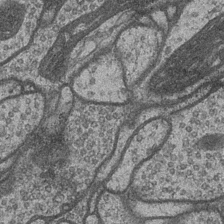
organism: Drosophila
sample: Optic medulla